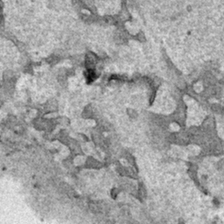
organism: Human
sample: Mitochondria in HCT116 cells